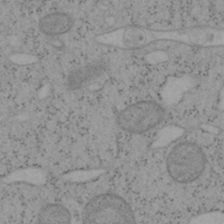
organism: Mouse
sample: OT-I killer T cells with ID8 ovarian cancer cells